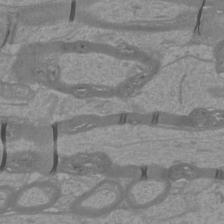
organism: Mouse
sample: Cortical neurons